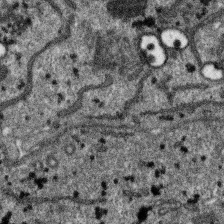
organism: Human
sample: Lung epithelial cells infected with SARS-CoV-2